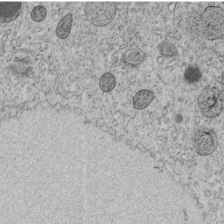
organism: C. elegans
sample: C. elegans embryo early stage